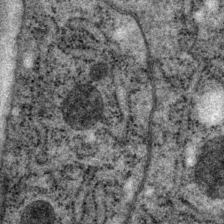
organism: P. pacificus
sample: Pharynx